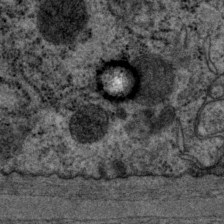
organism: P. pacificus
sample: Pharynx